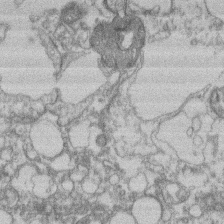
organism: Mouse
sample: T cell stromal cell synapse